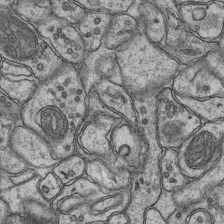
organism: Mouse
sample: CA1 Hippocampus